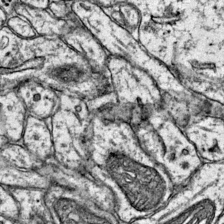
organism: Mouse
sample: Primary visual cortex